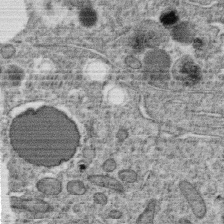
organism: C. elegans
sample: C. elegans oocyte; sperm cells